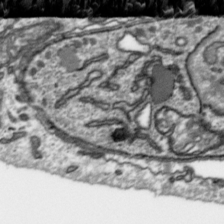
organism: Toxoplasma gondii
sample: Parasites in a vacuole inside a host cell